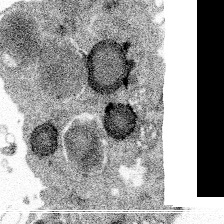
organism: Spongilla lacustris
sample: Multiple